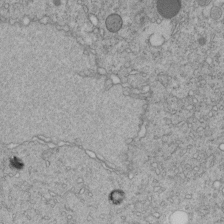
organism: C. elegans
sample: C. elegans embryo early stage